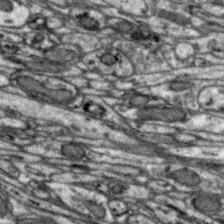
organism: Zebra finch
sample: Brain